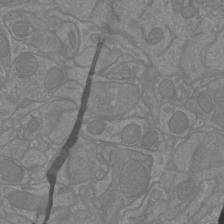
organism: Mouse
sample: Cortical neurons